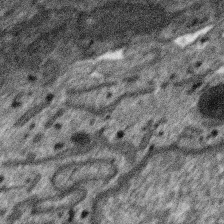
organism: Human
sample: Lung epithelial cells infected with SARS-CoV-2